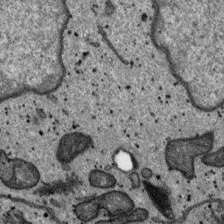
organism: Human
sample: Lung epithelial cells, uninfected (mock) control